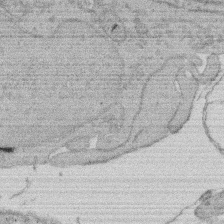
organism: Rat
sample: Salivary granule